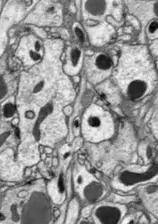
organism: Drosophila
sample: Optic lobe